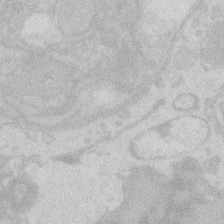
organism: Zebrafish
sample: Macrophage